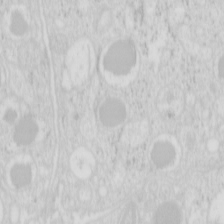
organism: Mouse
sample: Pancreas